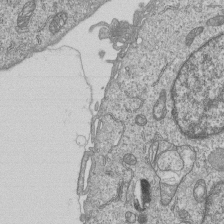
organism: Human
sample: MDA-MB-231 cells